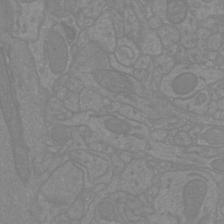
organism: Mouse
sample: Cortical neurons